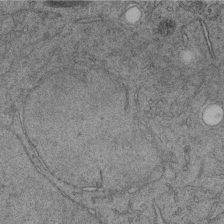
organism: C. elegans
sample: C. elegans embryo early stage